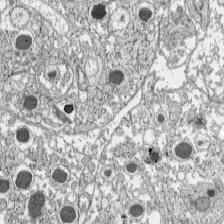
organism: C57BL Mouse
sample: Pancreatic islet